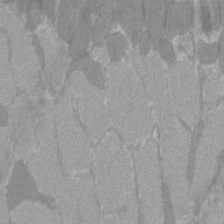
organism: C57BL Mouse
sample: Tibialis anterior muscle cell